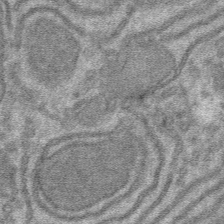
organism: Mouse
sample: Mouse hepatocytes